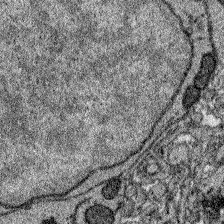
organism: Zebrafish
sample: Larval olfactory bulb